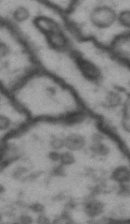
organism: Drosophila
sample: Brain